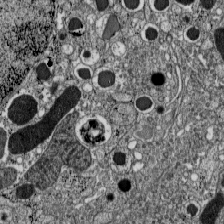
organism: C57BL Mouse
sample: Pancreatic islet